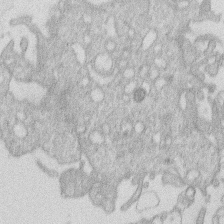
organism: Human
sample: Macrophage cells